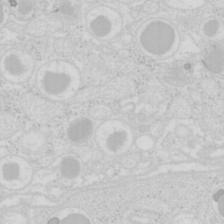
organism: Mouse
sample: Pancreas